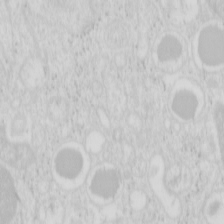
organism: Mouse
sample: Pancreas